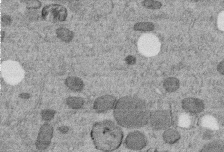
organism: C. elegans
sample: C. elegans embryo early stage